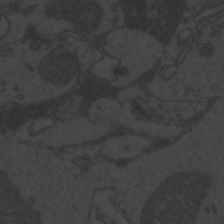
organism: Zebrafish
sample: Macrophage infected with Toxoplasma gondii